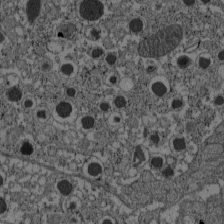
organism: C57BL Mouse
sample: Pancreatic islet